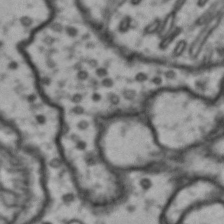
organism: Drosophila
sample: Brain